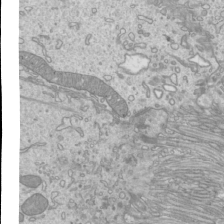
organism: Mouse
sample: Cilia; mouse epididymis